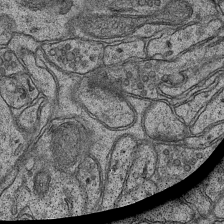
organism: Mouse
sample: CA1 Hippocampus